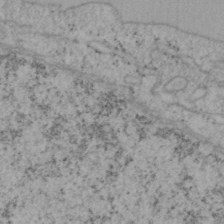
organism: Human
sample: HeLa cells